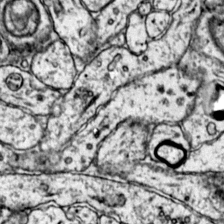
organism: Mouse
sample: Primary visual cortex